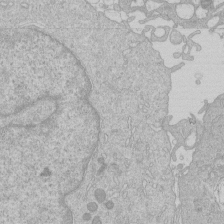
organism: Human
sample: Macrophage cells